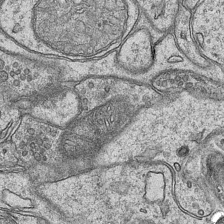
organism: Mouse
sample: CA1 Hippocampus